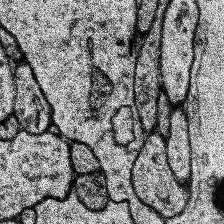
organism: Human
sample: Temporal Lobe